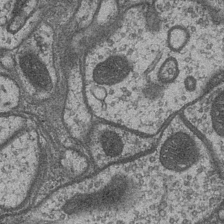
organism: Drosophila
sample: Optic medulla